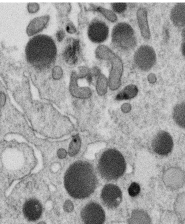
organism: C. elegans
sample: C. elegans oocyte; sperm cells